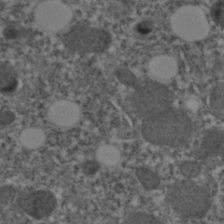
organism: C. elegans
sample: C. elegans embryo